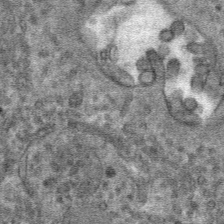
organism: Mouse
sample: Mouse hepatocytes